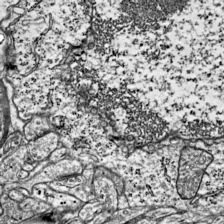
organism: Mouse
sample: Visual Cortex